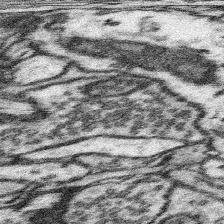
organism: Mouse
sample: Somatosensory cortex neuropil